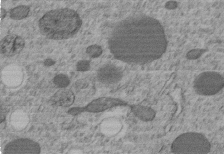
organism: C. elegans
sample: C. elegans embryo early stage